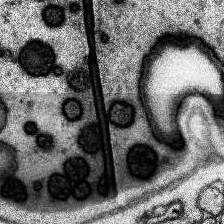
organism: Human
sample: Temporal Lobe